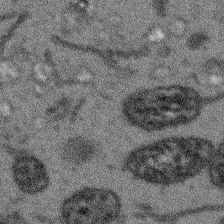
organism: Arabidopsis thaliana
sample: Root tip